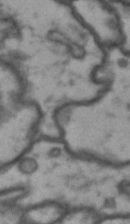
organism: Drosophila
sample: Brain